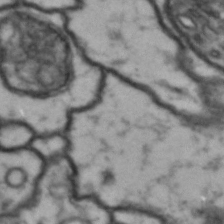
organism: Drosophila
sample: Brain